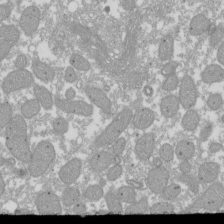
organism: Xenopus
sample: Cilia; centrioles in frog embryo cells